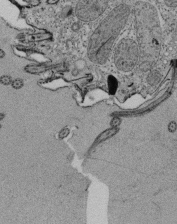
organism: Tetrahymena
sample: Cilia in tetrahymena